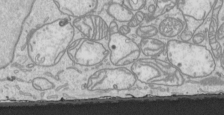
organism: Human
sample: Mitochondria in HCT116 cells